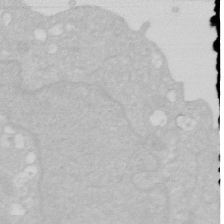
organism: Human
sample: HIV infected U937 cells